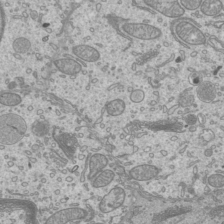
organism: Mouse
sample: Cilia; mouse epididymis